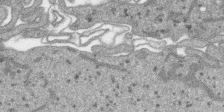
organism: Human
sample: Lung epithelial cells infected with SARS-CoV-2